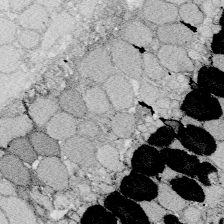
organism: Zebrafish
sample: Whole-Brain